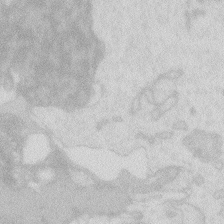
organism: Zebrafish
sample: Macrophage